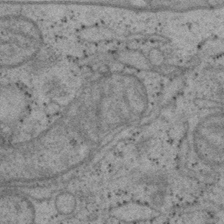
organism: Human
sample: HeLa cells